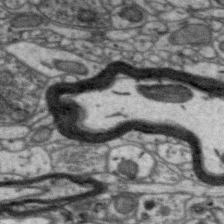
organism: Zebra finch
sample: Brain